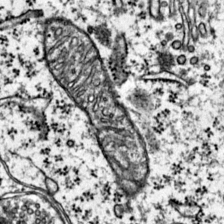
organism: Mouse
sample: Primary visual cortex